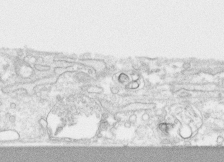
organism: Human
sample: CRL-1474